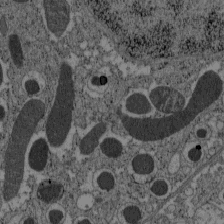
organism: C57BL Mouse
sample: Pancreatic islet